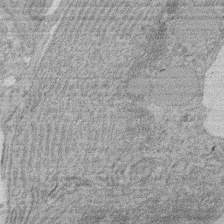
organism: Rat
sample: Salivary granule